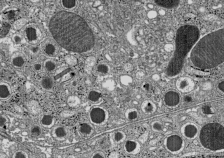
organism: C57BL Mouse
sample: Pancreatic islet